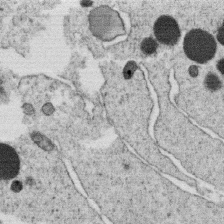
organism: C. elegans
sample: C. elegans oocyte; sperm cells